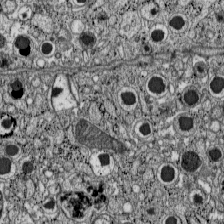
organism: C57BL Mouse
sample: Pancreatic islet